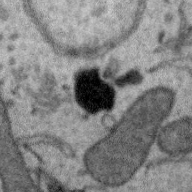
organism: Zebra finch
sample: Brain